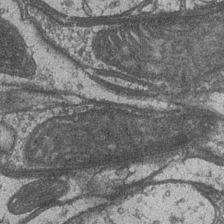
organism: Drosophila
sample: Optic medulla